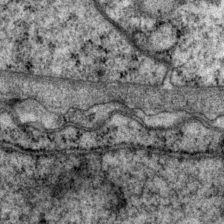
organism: P. pacificus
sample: Pharynx